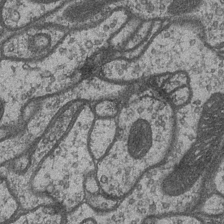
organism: Drosophila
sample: Optic medulla